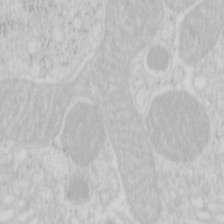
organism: Mouse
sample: Pancreas